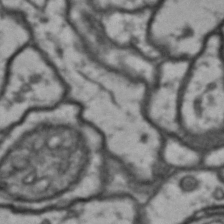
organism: Drosophila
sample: Brain